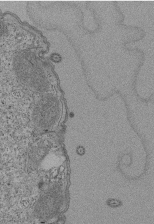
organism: Tetrahymena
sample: Cilia in tetrahymena